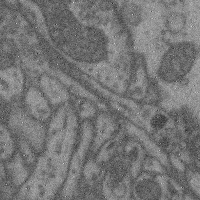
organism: Mouse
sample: Cerebral cortex